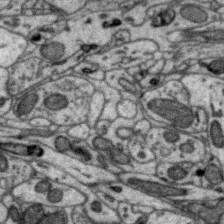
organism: Zebra finch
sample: Brain